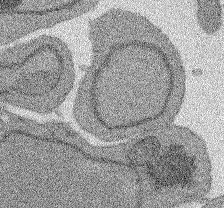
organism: Human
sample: HeLa cells